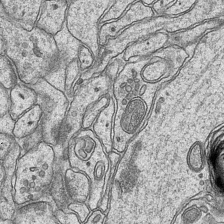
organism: Mouse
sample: CA1 Hippocampus